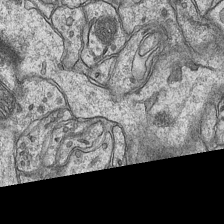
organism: Mouse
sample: CA1 Hippocampus